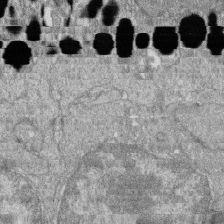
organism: Zebrafish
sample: Cilia; retinal pigment epithelium